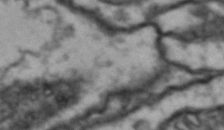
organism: Drosophila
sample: Brain